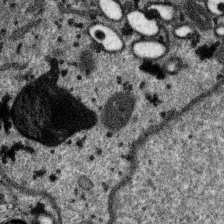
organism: Human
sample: Lung epithelial cells infected with SARS-CoV-2